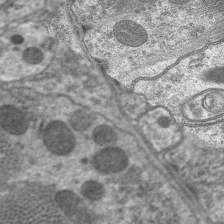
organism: C. elegans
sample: Pharynx